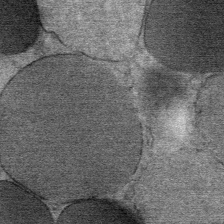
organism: Mouse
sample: Mouse Salivary gland